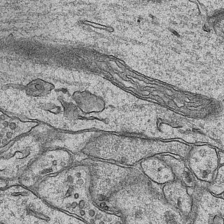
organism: Mouse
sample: CA1 Hippocampus